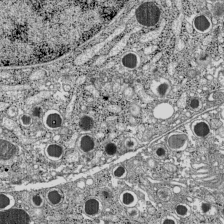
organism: C57BL Mouse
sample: Pancreatic islet